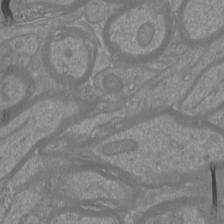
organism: Mouse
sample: Cortical neurons